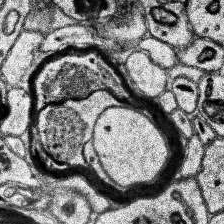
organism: Human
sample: Temporal Lobe